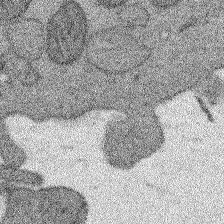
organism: Human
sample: HeLa cells